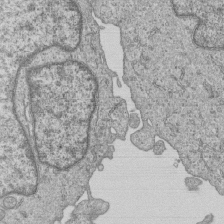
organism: Human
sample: MDA-MB-231 cells